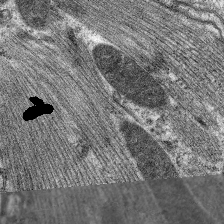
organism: C. elegans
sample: Pharynx